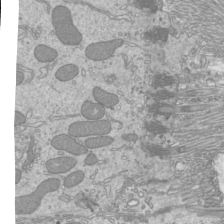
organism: Mouse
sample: Cilia; mouse epididymis